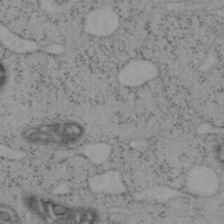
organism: Mouse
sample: OT-I killer T cells with ID8 ovarian cancer cells